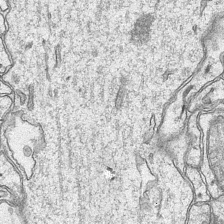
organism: Mouse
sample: CA1 Hippocampus